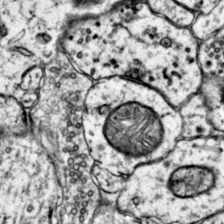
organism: Mouse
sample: Primary visual cortex